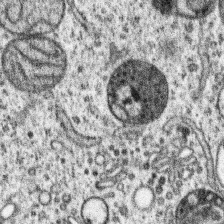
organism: Human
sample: HeLa cells